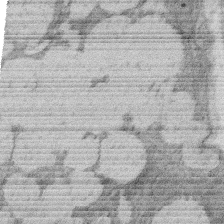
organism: Rat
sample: Salivary granule